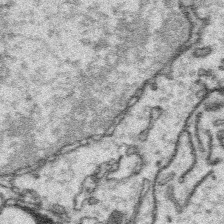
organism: Platynereis dumerilii